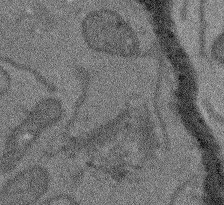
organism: Arabidopsis thaliana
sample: Root tip